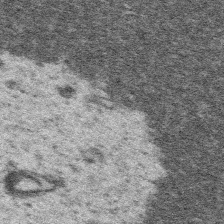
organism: Platynereis dumerilii